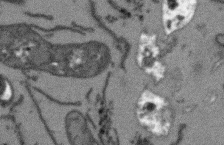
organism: Arabidopsis thaliana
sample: Root tip